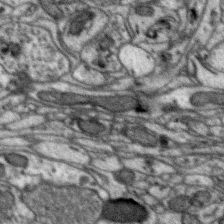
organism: Zebra finch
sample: Brain